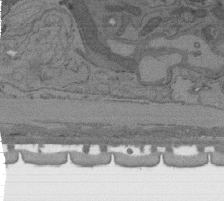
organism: C. elegans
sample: AFD neurons C. elegans